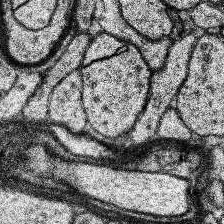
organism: Human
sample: Temporal Lobe